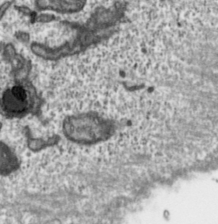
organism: Toxoplasma gondii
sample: Parasites in a vacuole inside a host cell